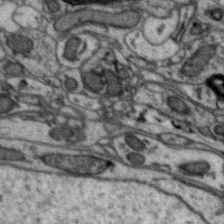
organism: Zebra finch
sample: Brain